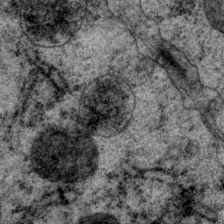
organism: P. pacificus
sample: Pharynx